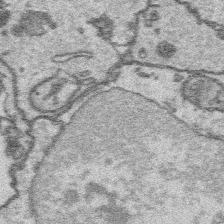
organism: Platynereis dumerilii